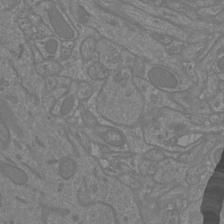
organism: Mouse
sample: Cortical neurons